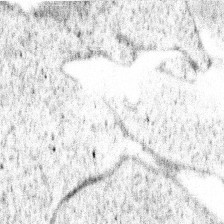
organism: Human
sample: HeLa cells